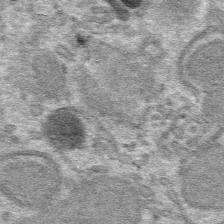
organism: Mouse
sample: Mouse hepatocytes